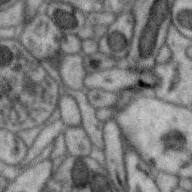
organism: Zebra finch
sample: Brain